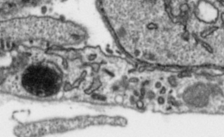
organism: Toxoplasma gondii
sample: Parasites in a vacuole inside a host cell